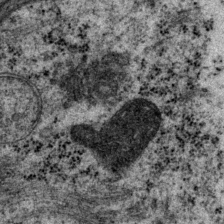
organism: P. pacificus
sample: Pharynx